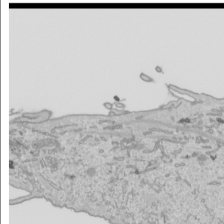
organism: Human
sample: Mitochondria in HCT116 cells